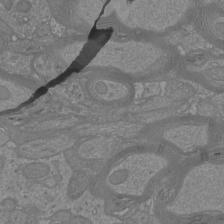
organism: Mouse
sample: Cortical neurons